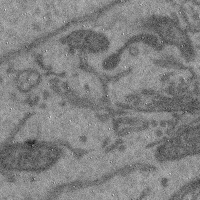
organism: Mouse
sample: Cerebral cortex